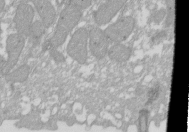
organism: Xenopus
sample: Cilia; centrioles in frog embryo cells